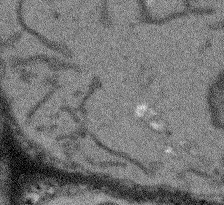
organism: Arabidopsis thaliana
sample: Root tip